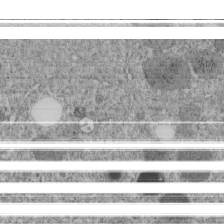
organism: C. elegans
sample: C. elegans embryo early stage